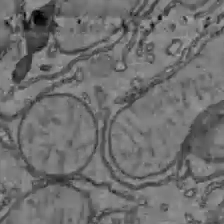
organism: C57BL Mouse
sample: Liver